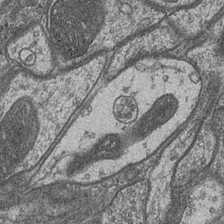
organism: Drosophila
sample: Optic medulla